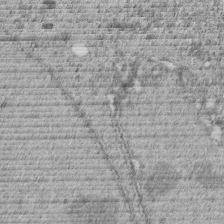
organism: C. elegans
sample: C. elegans embryo early stage